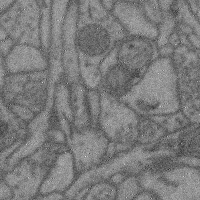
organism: Mouse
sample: Cerebral cortex